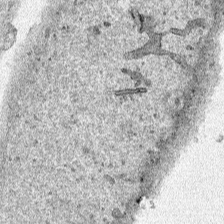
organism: Human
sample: Mitochondria in HCT116 cells